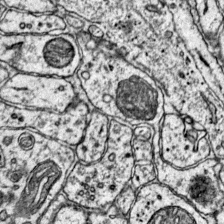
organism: Mouse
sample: Primary visual cortex